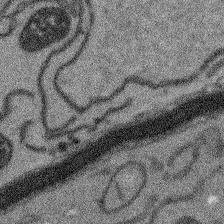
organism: Arabidopsis thaliana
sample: Root tip